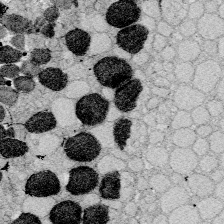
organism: Zebrafish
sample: Whole-Brain